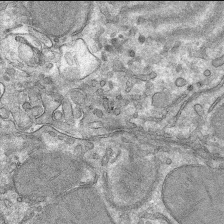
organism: Mouse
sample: Mouse hepatocytes